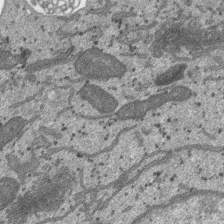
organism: Human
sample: Lung epithelial cells infected with SARS-CoV-2